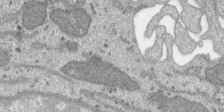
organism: Human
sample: Lung epithelial cells infected with SARS-CoV-2